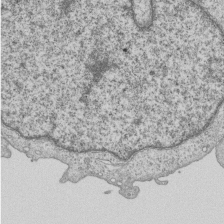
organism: Human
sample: MDA-MB-231 cells